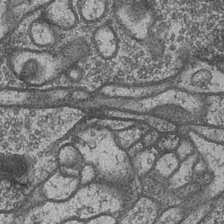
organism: Drosophila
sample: Optic medulla